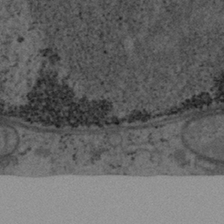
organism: Human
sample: HeLa cells